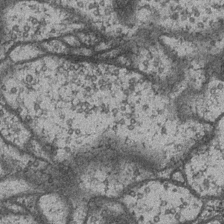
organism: Drosophila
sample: Optic medulla